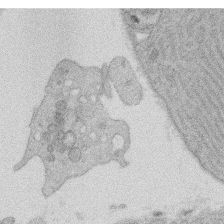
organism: Rat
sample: Salivary granule